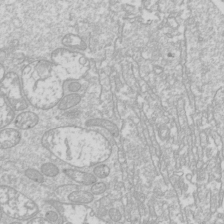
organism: Drosophila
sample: Cell division; meiosis; drosophila spermatocytes